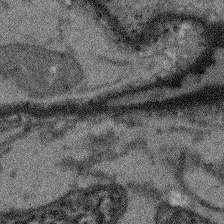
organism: Arabidopsis thaliana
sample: Root tip